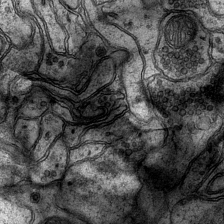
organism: Mouse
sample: CA1 Hippocampus